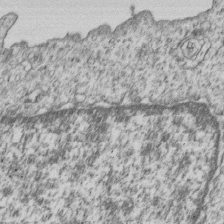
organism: Human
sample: MDA-MB-231 cells